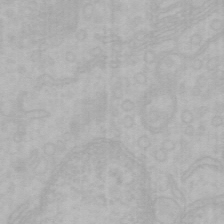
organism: Mouse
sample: Choroid plexus